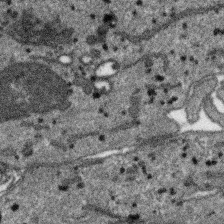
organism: Human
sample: Lung epithelial cells infected with SARS-CoV-2